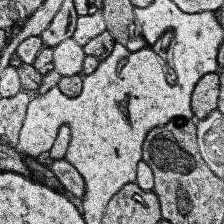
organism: Human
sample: Temporal Lobe